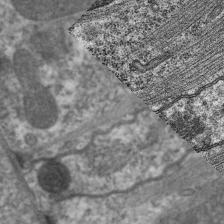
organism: C. elegans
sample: Pharynx